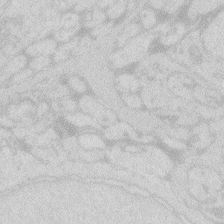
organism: Zebrafish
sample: Macrophage